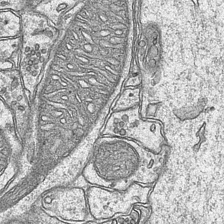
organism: Mouse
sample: CA1 Hippocampus